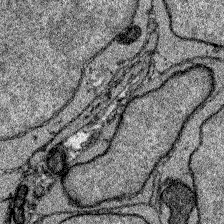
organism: Zebrafish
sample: Larval olfactory bulb